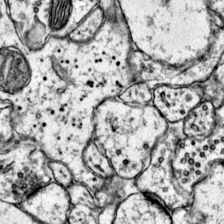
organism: Mouse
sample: Primary visual cortex